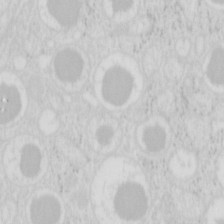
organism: Mouse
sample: Pancreas